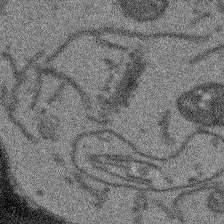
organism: Arabidopsis thaliana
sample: Root tip